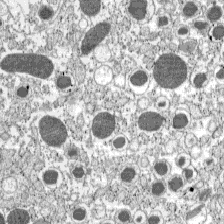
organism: C57BL Mouse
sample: Pancreatic islet